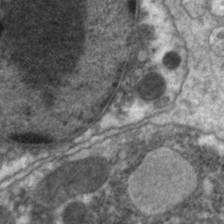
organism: C. elegans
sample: Pharynx